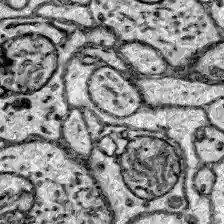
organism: Zebrafish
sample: Brain